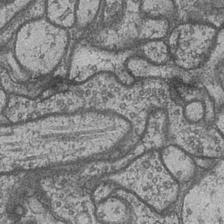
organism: Drosophila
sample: Optic medulla